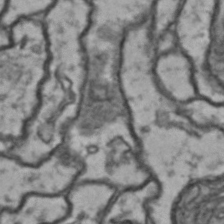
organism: Drosophila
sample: Brain